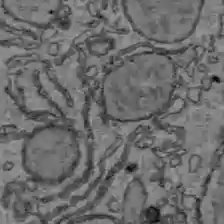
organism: C57BL Mouse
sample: Liver